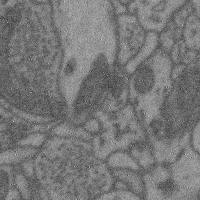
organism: Mouse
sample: Cerebral cortex